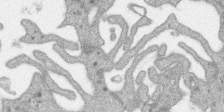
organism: Human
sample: Lung epithelial cells infected with SARS-CoV-2